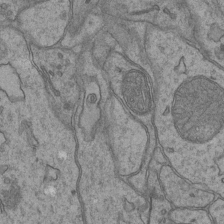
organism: Mouse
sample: CA1 Hippocampus